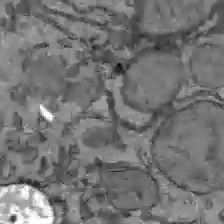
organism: C57BL Mouse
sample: Liver